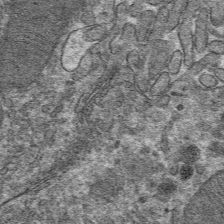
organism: Mouse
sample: Mouse hepatocytes